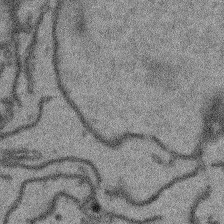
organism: Arabidopsis thaliana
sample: Root tip